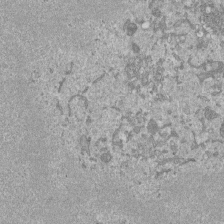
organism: Mouse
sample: ED-1 cell nuclei; centrioles